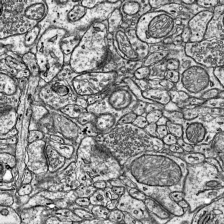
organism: Mouse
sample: Visual Cortex